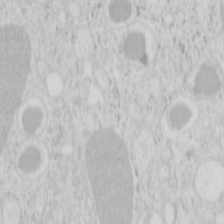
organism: Mouse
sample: Pancreas